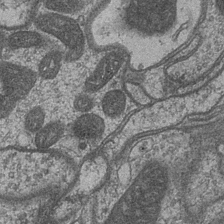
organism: Drosophila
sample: Optic medulla